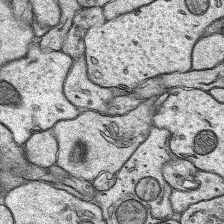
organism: Rat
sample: Hippocampus